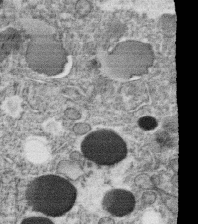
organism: C. elegans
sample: C. elegans oocyte; sperm cells